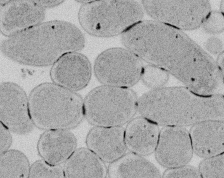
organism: E. coli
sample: Bacterial nucleoid